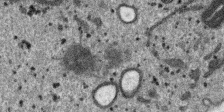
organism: Human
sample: Lung epithelial cells infected with SARS-CoV-2